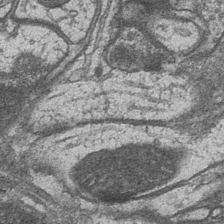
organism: Drosophila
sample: Optic medulla